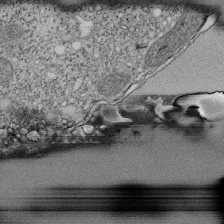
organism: Tetrahymena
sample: Cilia in tetrahymena